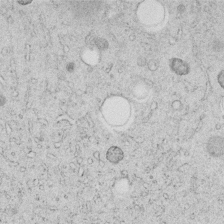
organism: C. elegans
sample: C. elegans embryo early stage